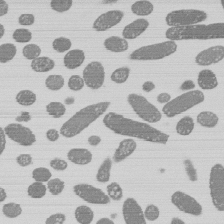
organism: E. coli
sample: Bacterial nucleoid